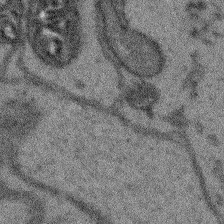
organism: Arabidopsis thaliana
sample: Root tip